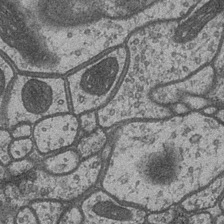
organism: Drosophila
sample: Optic medulla